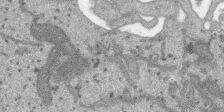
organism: Human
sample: Lung epithelial cells infected with SARS-CoV-2